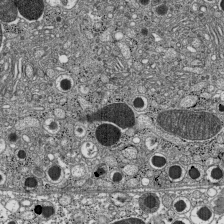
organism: C57BL Mouse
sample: Pancreatic islet